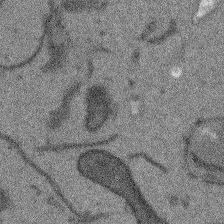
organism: Arabidopsis thaliana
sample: Root tip